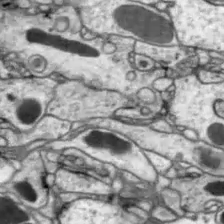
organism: Drosophila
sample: Optic lobe